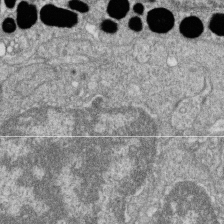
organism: Zebrafish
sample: Cilia; retinal pigment epithelium